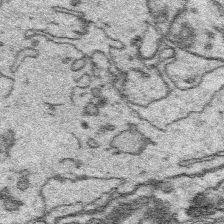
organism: Platynereis dumerilii